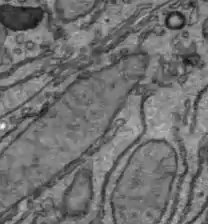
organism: C57BL Mouse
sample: Liver